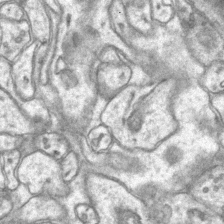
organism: Mouse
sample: CA1 Hippocampus